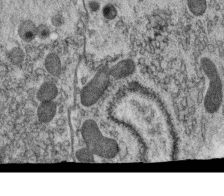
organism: C. elegans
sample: C. elegans oocyte; sperm cells